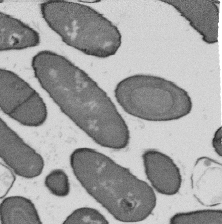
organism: B. subtilis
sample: Bacterial spore